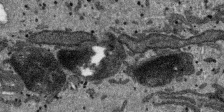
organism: Human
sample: Lung epithelial cells, uninfected (mock) control